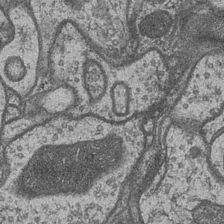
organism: Drosophila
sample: Optic medulla